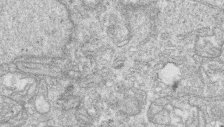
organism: Human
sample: HeLa cell HIV synapse